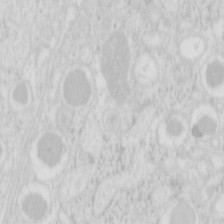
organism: Mouse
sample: Pancreas